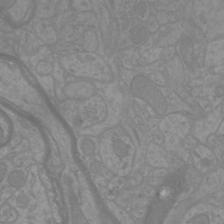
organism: Mouse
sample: Cortical neurons